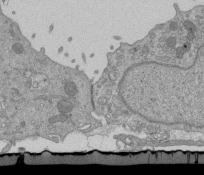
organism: Mouse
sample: ED-1 cell nuclei; centrioles